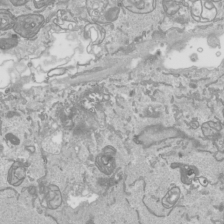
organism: Human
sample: Mitochondria in HCT116 cells